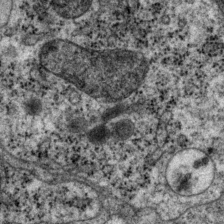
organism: P. pacificus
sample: Pharynx